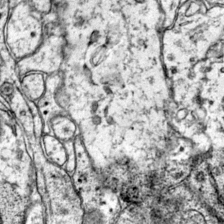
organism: Mouse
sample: Primary visual cortex